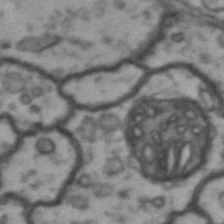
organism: Drosophila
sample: Brain